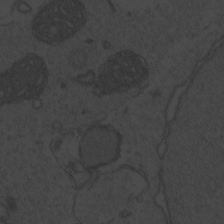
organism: Zebrafish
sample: Macrophage infected with Toxoplasma gondii